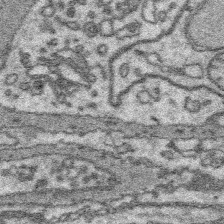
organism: Platynereis dumerilii